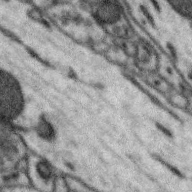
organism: Zebra finch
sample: Brain